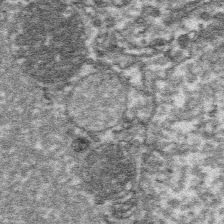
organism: Platynereis dumerilii